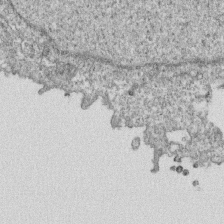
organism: Human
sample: HeLa cell HIV synapse